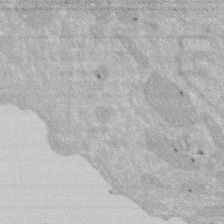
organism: Human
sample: HIV infected U937 cells